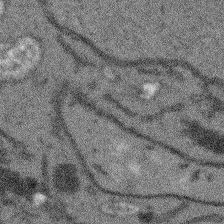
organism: Arabidopsis thaliana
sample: Root tip